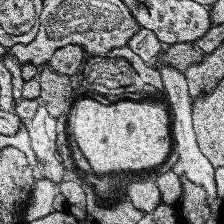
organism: Human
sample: Temporal Lobe